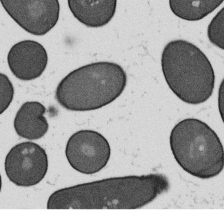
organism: B. subtilis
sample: Bacterial spore